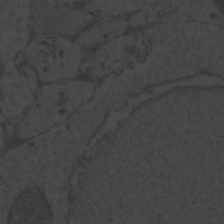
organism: Zebrafish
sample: Macrophage infected with Toxoplasma gondii